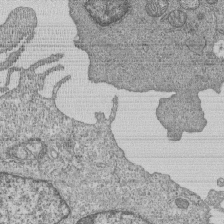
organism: Human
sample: MDA-MB-231 cells